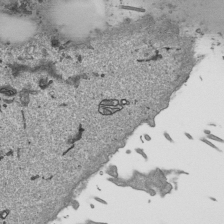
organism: Human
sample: Mitochondria in HCT116 cells